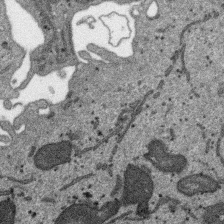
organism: Human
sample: Lung epithelial cells infected with SARS-CoV-2